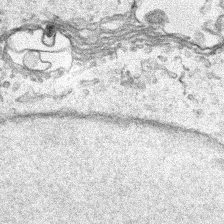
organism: Human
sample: Mitochondria in HCT116 cells